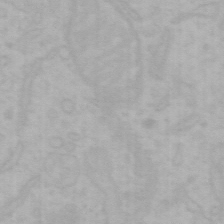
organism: Mouse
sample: Choroid plexus